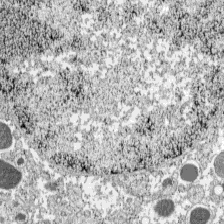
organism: C57BL Mouse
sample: Pancreatic islet